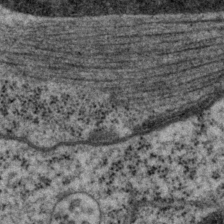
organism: P. pacificus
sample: Pharynx